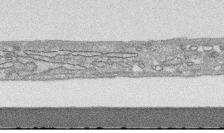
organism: Human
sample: CRL-1474